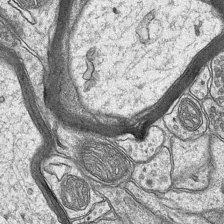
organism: Mouse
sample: CA1 Hippocampus